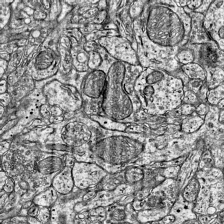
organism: Mouse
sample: Visual Cortex